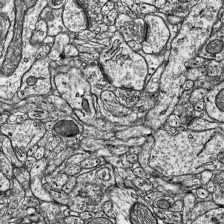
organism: Mouse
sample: Visual Cortex